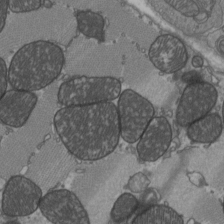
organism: C57BL Mouse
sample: Heart